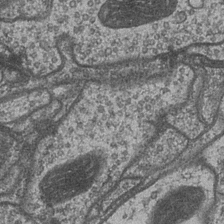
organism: Drosophila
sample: Optic medulla